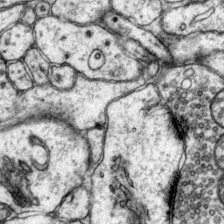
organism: Mouse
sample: Primary visual cortex